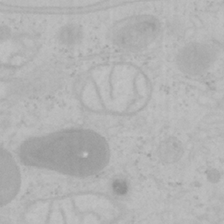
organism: Human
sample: HeLa cells